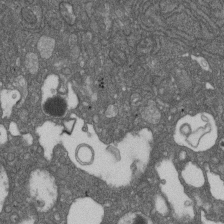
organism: Drosophila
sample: Nephrocyte